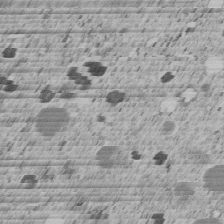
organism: C. elegans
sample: C. elegans embryo early stage